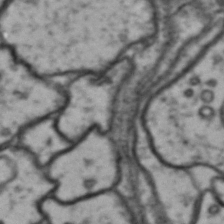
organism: Drosophila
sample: Brain